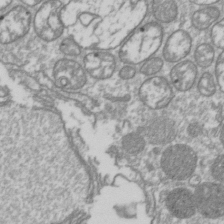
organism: Drosophila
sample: Cell division; meiosis; drosophila spermatocytes